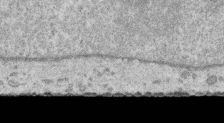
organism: Human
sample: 1205lu cells